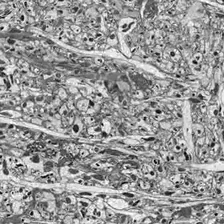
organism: Drosophila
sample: Optic lobe